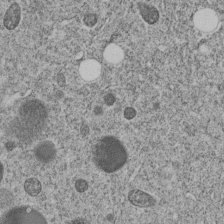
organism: C. elegans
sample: C. elegans embryo early stage